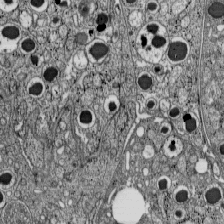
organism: C57BL Mouse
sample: Pancreatic islet